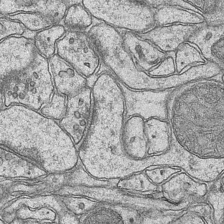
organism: Mouse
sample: CA1 Hippocampus